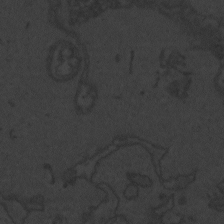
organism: Zebrafish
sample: Macrophage infected with Toxoplasma gondii